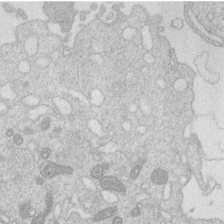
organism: Human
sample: Macrophage cells